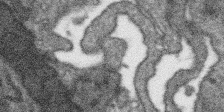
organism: Human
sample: Lung epithelial cells infected with SARS-CoV-2